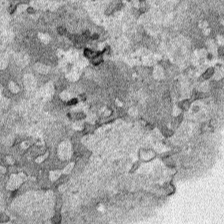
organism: Human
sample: Mitochondria in HCT116 cells